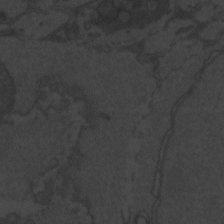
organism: Zebrafish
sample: Macrophage infected with Toxoplasma gondii